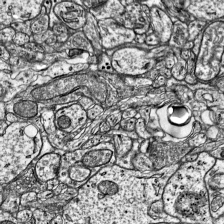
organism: Mouse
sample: Visual Cortex